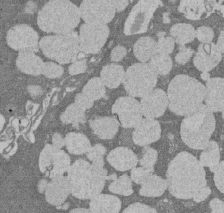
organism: Rat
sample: Salivary granule